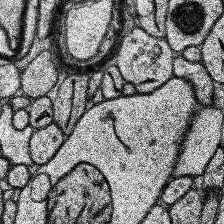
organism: Human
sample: Temporal Lobe